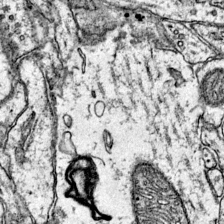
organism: Mouse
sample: Primary visual cortex